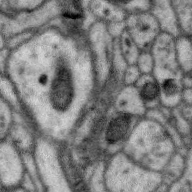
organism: Zebra finch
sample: Brain